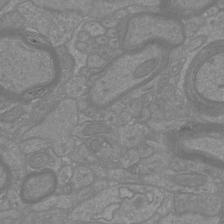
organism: Mouse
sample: Cortical neurons